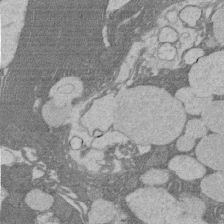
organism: Rat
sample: Salivary granule